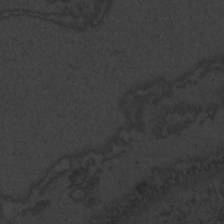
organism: Zebrafish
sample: Macrophage infected with Toxoplasma gondii